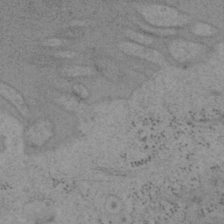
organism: Mouse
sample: OT-I killer T cells with ID8 ovarian cancer cells